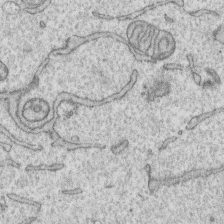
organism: Human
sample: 1205lu cells